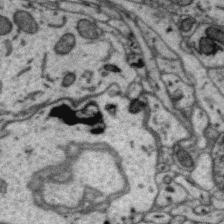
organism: Zebra finch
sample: Brain